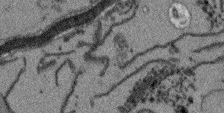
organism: Arabidopsis thaliana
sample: Root tip